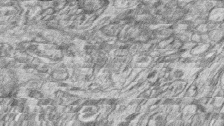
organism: Zebrafish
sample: synaptic ribbons in rod cells and cone cells